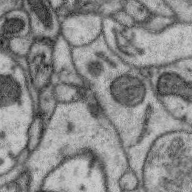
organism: Zebra finch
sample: Brain